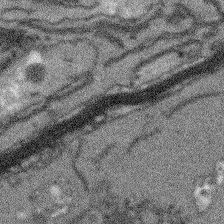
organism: Arabidopsis thaliana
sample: Root tip